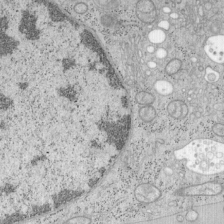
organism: Mouse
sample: OT-I killer T cells with ID8 ovarian cancer cells